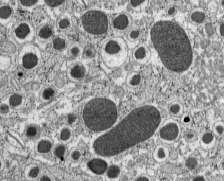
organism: C57BL Mouse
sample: Pancreatic islet